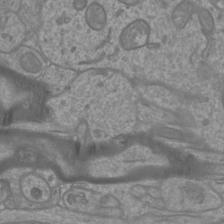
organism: Mouse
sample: Cortical neurons